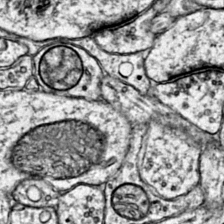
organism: Mouse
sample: Primary visual cortex